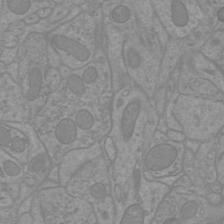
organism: Mouse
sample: Cortical neurons